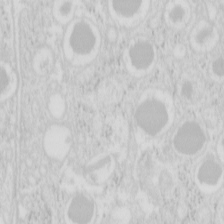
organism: Mouse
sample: Pancreas